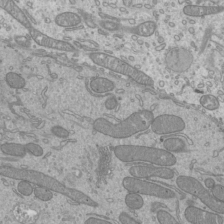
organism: Mouse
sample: Cilia; mouse epididymis